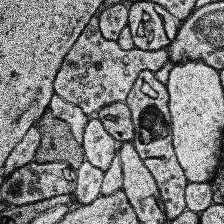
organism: Human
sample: Temporal Lobe